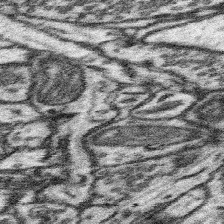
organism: Mouse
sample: Somatosensory cortex neuropil